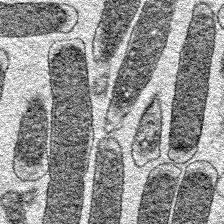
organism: E. coli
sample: E. Coli Bacteria